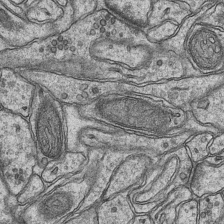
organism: Mouse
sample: CA1 Hippocampus